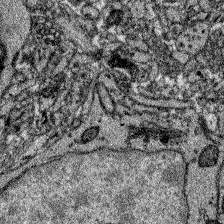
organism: Zebrafish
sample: Larval olfactory bulb